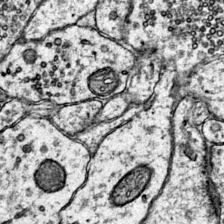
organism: Mouse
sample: Primary visual cortex